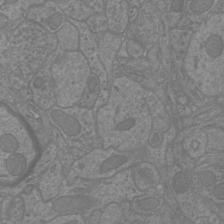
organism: Mouse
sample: Cortical neurons